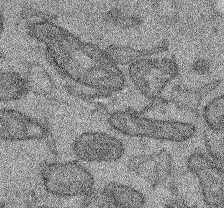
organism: Human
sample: HeLa cells